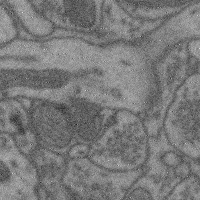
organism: Mouse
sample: Cerebral cortex